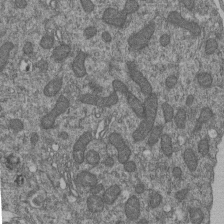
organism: Human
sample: Retinal organoid Rod and Cone cells